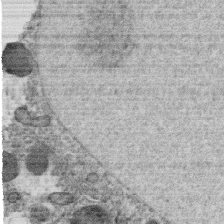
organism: C. elegans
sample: C. elegans oocyte; sperm cells